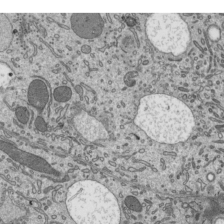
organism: Mouse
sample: Mouse epididymis efferent ductule cilia